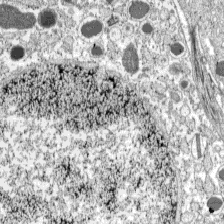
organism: C57BL Mouse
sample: Pancreatic islet